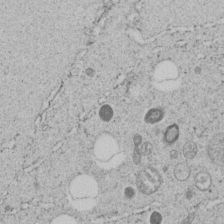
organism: C. elegans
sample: C. elegans embryo early stage